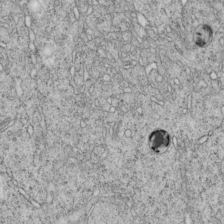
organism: C. elegans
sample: C. elegans embryo early stage